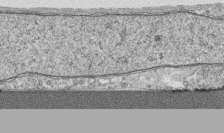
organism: Human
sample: CRL-1474